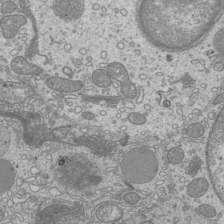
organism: Mouse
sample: Cilia; mouse epididymis